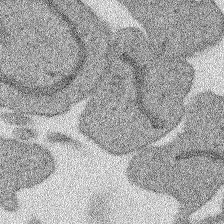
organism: Human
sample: HeLa cells